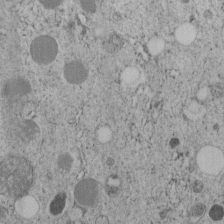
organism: C. elegans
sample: C. elegans embryo early stage